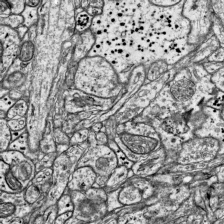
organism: Mouse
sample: Visual Cortex